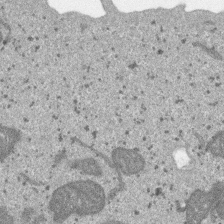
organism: Human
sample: Lung epithelial cells infected with SARS-CoV-2